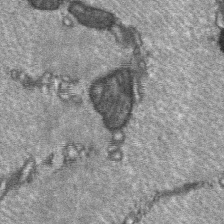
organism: C57BL Mouse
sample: Soleus